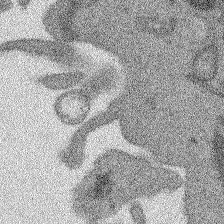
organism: Human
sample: HeLa cells